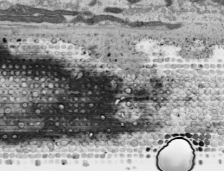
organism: Human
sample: Mitochondria in HCT116 cells